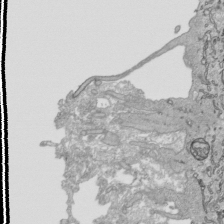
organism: Human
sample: Mitochondria in HCT116 cells